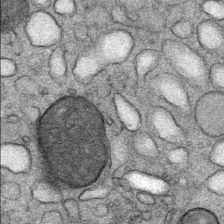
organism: Mouse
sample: Mouse Salivary gland